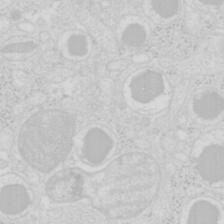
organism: Mouse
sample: Pancreas